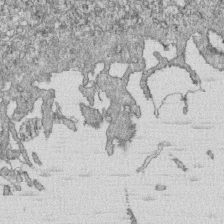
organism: Human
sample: HeLa cell HIV synapse